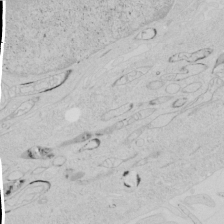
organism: Human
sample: Mitochondria in HCT116 cells